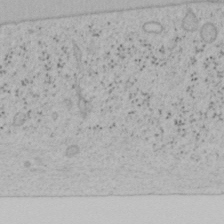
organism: Human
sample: HeLa cells